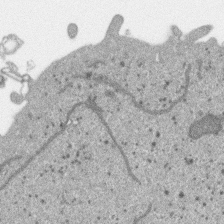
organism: Human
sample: Lung epithelial cells infected with SARS-CoV-2